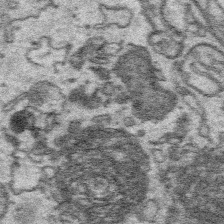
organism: Platynereis dumerilii